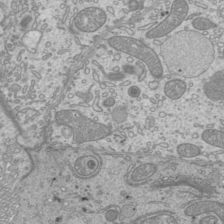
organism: Mouse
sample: Cilia; mouse epididymis